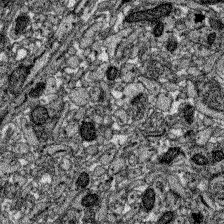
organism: Zebrafish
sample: Larval olfactory bulb